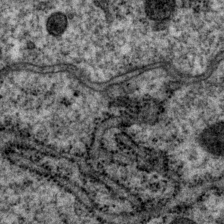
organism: P. pacificus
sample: Pharynx